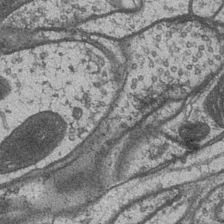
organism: Drosophila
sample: Optic medulla